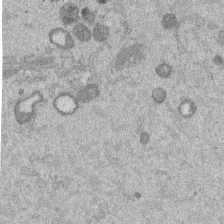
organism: Mouse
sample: Dividing mouse embryo 1 cell stage